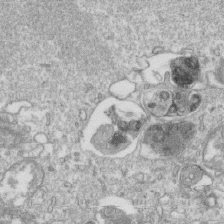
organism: Mouse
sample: Activated OT-1 CD8+ T cells